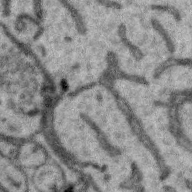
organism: Zebra finch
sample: Brain